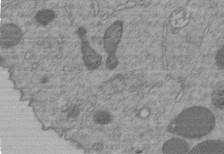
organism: C. elegans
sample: C. elegans embryo early stage